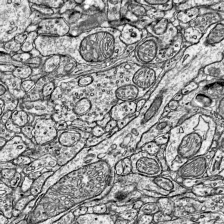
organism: Mouse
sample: Visual Cortex